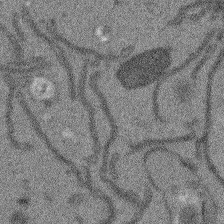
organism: Arabidopsis thaliana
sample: Root tip